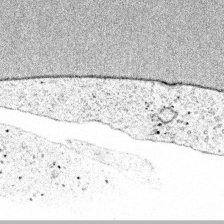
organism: Human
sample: HeLa cells